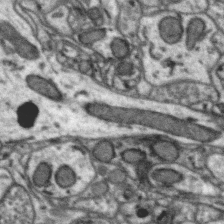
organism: Zebra finch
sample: Brain